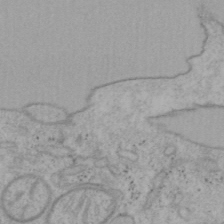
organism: Human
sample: HeLa cells